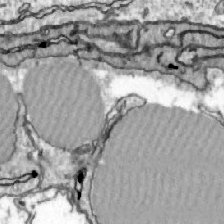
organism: Zebrafish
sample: Actinotrichia fibers